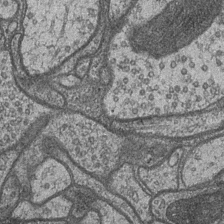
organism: Drosophila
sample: Optic medulla